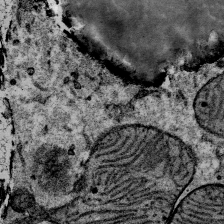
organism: Mouse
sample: Mouse Salivary gland